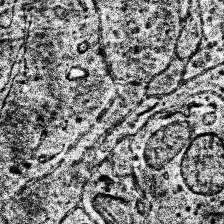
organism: Human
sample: Temporal Lobe